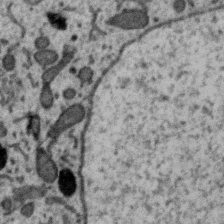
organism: Zebra finch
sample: Brain